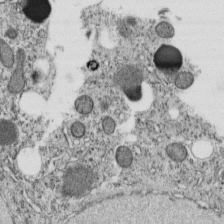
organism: C. elegans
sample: C. elegans embryo early stage